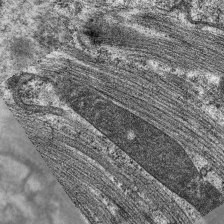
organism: C. elegans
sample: Pharynx